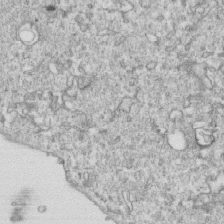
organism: Mouse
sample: Activated OT-1 CD8+ T cells